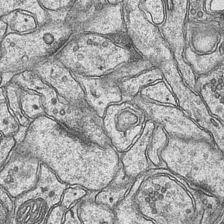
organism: Mouse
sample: CA1 Hippocampus